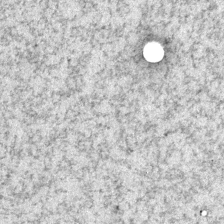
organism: Mouse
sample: Primary visual cortex